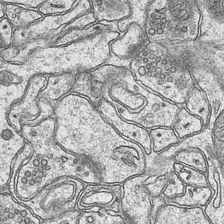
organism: Mouse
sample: CA1 Hippocampus